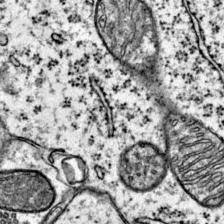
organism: Mouse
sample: Primary visual cortex